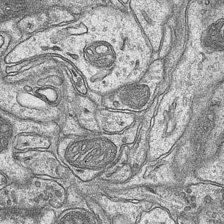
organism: Mouse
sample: CA1 Hippocampus